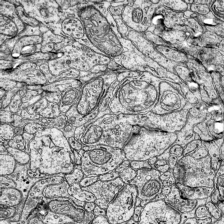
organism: Mouse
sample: Visual Cortex